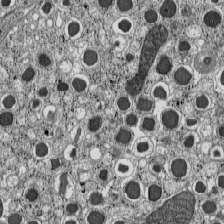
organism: C57BL Mouse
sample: Pancreatic islet